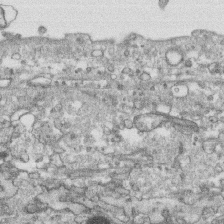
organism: Human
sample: CRL-1474